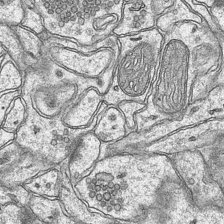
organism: Mouse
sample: CA1 Hippocampus